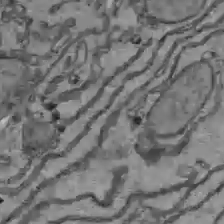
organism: C57BL Mouse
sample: Liver